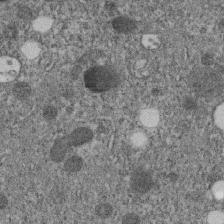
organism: C. elegans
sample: C. elegans embryo early stage